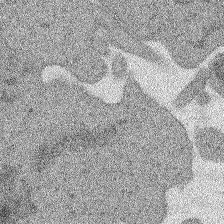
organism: Human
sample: HeLa cells